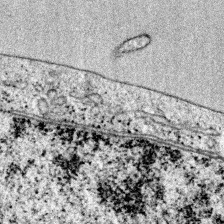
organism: Human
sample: HeLa cells